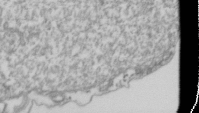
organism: Drosophila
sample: Cell division; meiosis; drosophila spermatocytes